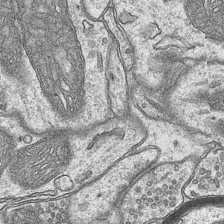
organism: Mouse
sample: CA1 Hippocampus